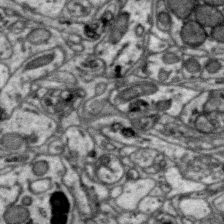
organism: Zebra finch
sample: Brain